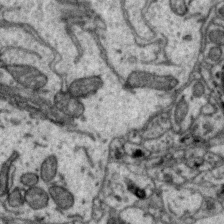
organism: Zebra finch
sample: Brain